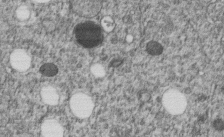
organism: C. elegans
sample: C. elegans embryo early stage